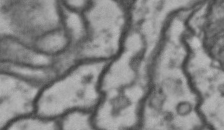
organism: Drosophila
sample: Brain